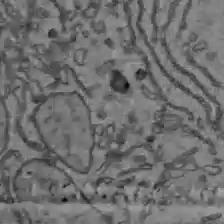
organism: C57BL Mouse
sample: Liver